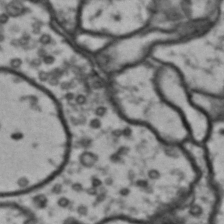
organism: Drosophila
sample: Brain